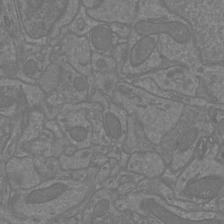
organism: Mouse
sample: Cortical neurons